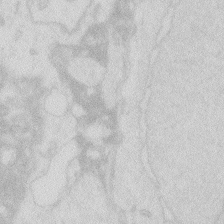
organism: Zebrafish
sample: Macrophage